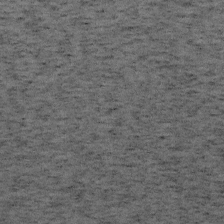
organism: Mouse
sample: OT-I killer T cells with ID8 ovarian cancer cells